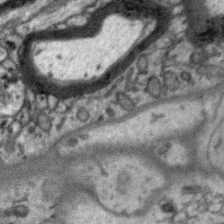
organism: Zebra finch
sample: Brain